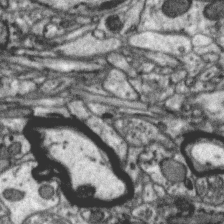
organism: Zebra finch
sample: Brain